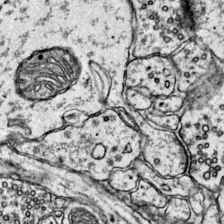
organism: Mouse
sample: Primary visual cortex